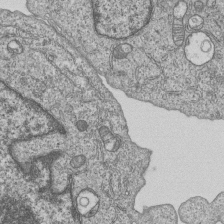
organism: Human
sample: MDA-MB-231 cells